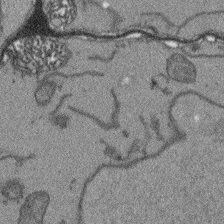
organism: Arabidopsis thaliana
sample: Root tip